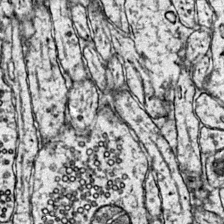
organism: Mouse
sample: Primary visual cortex